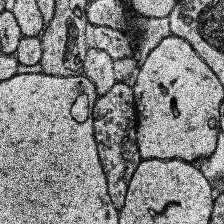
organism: Human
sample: Temporal Lobe